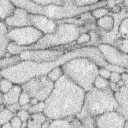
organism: Rabbit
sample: Retina